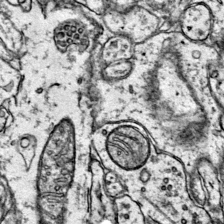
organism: Mouse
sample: Primary visual cortex